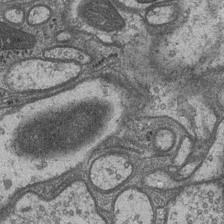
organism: Drosophila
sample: Optic medulla